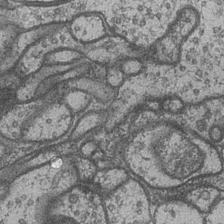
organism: Drosophila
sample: Optic medulla